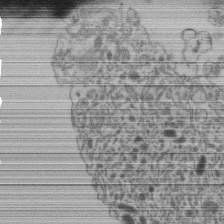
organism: Human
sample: Retinal organoid Rod and Cone cells